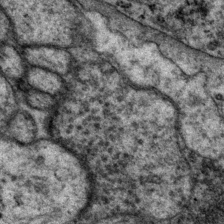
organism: P. pacificus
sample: Pharynx